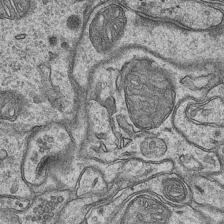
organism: Mouse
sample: CA1 Hippocampus